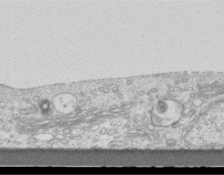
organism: Mouse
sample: Centriole in ependymal cells